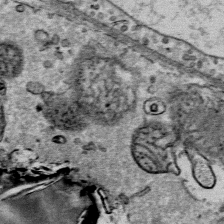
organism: Mouse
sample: Mouse Salivary gland